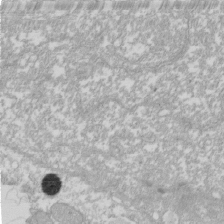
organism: Xenopus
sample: Cilia; centrioles in frog embryo cells